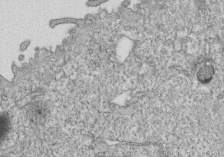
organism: Human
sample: HeLa cell HIV synapse